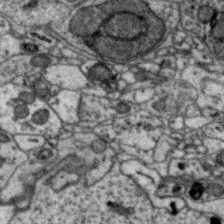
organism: Zebra finch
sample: Brain